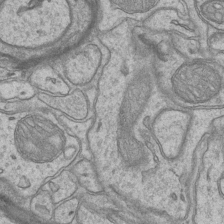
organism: Mouse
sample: CA1 Hippocampus